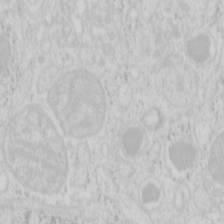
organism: Mouse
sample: Pancreas